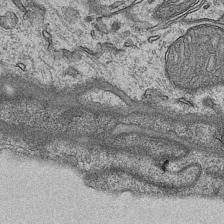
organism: Mouse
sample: CA1 Hippocampus